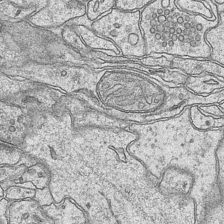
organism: Mouse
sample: CA1 Hippocampus